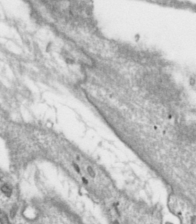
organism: Toxoplasma gondii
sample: Parasites in a vacuole inside a host cell